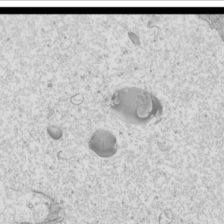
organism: Mouse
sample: Cilia; mouse epididymis